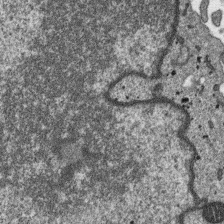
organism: Human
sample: Lung epithelial cells infected with SARS-CoV-2